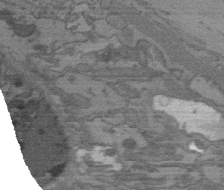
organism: C. elegans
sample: AFD neurons C. elegans